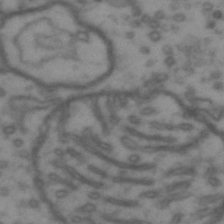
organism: Drosophila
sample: Brain